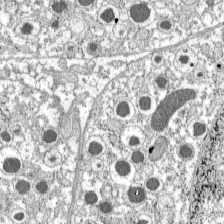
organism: C57BL Mouse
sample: Pancreatic islet